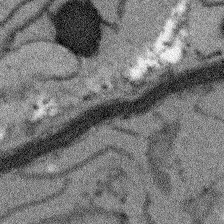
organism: Arabidopsis thaliana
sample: Root tip